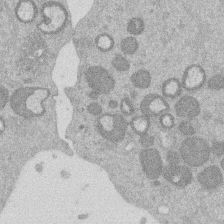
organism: Mouse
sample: Dividing mouse embryo 1 cell stage